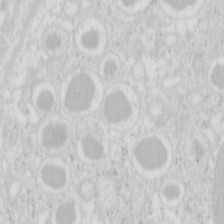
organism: Mouse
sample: Pancreas